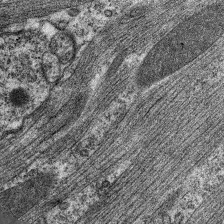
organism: C. elegans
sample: Pharynx